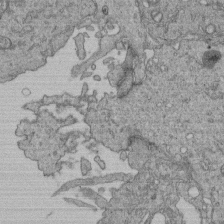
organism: Human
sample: Retinal organoid Rod and Cone cells